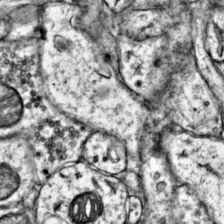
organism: Mouse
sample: Primary visual cortex